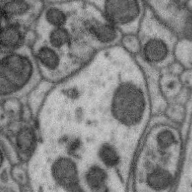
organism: Zebra finch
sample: Brain